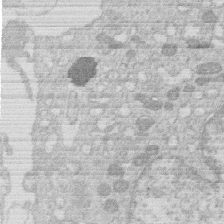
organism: Human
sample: Macrophage cells